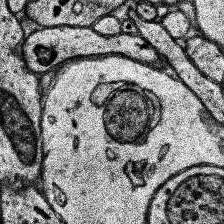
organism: Human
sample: Temporal Lobe